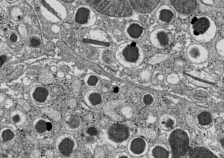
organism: C57BL Mouse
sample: Pancreatic islet